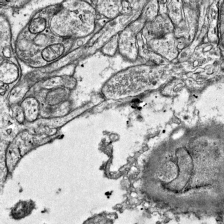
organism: Mouse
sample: Visual Cortex